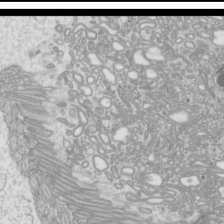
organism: Mouse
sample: Cilia; mouse epididymis